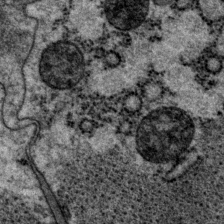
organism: P. pacificus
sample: Pharynx